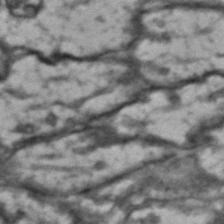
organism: Drosophila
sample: Brain